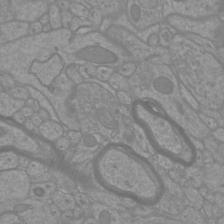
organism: Mouse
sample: Cortical neurons